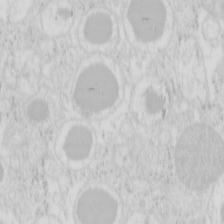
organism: Mouse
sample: Pancreas